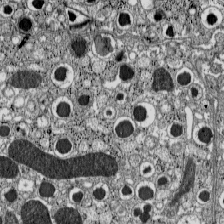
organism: C57BL Mouse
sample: Pancreatic islet